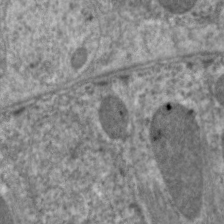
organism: C. elegans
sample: Pharynx